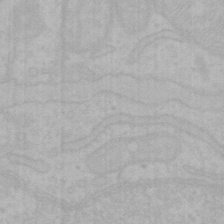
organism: Mouse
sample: Choroid plexus